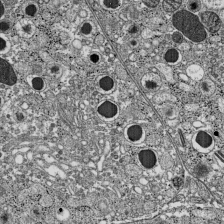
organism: C57BL Mouse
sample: Pancreatic islet